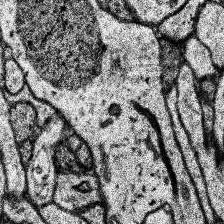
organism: Human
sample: Temporal Lobe